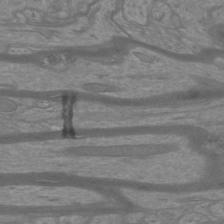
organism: Mouse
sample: Cortical neurons